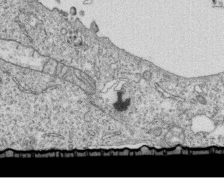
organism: Human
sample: HeLa cell HIV synapse